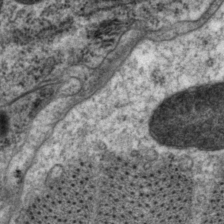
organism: P. pacificus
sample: Pharynx